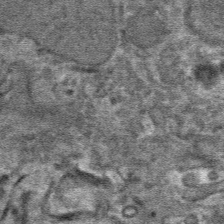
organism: Mouse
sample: Mouse hepatocytes